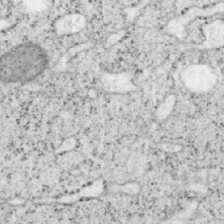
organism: Mouse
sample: OT-I killer T cells with ID8 ovarian cancer cells